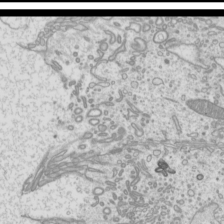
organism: Mouse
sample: Cilia; mouse epididymis